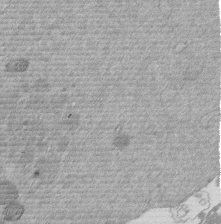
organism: Mouse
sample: Dividing mouse embryo 1 cell stage